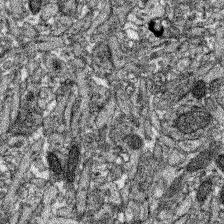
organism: Zebrafish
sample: Larval olfactory bulb